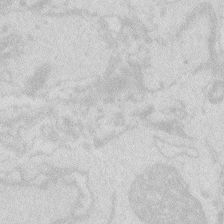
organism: Zebrafish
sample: Macrophage